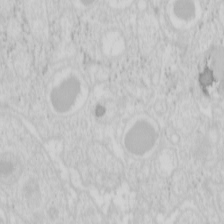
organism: Mouse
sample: Pancreas